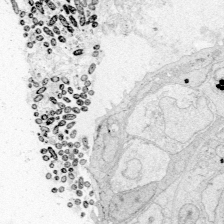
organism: Zebrafish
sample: Whole-Brain